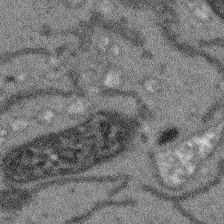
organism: Arabidopsis thaliana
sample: Root tip